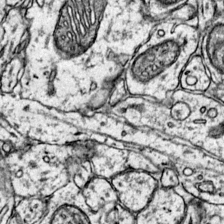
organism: Mouse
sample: Primary visual cortex